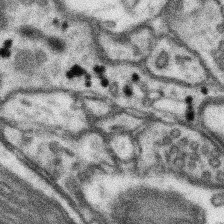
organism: Mouse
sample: Somatosensory cortex neuropil